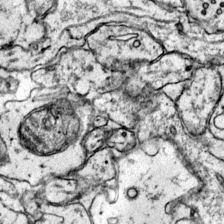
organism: Mouse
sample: Primary visual cortex